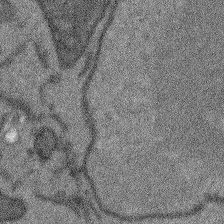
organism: Arabidopsis thaliana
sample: Root tip